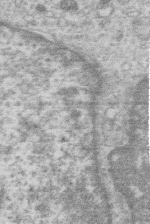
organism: Human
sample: Macrophage cells